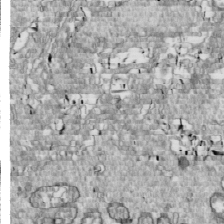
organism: Drosophila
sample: Cell division; meiosis; drosophila spermatocytes